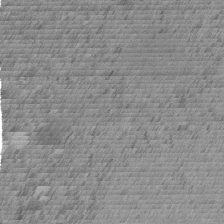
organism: C. elegans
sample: C. elegans embryo early stage